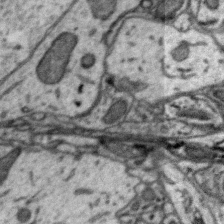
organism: Zebra finch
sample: Brain